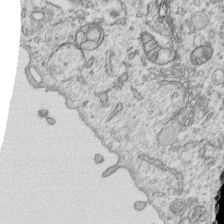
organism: Human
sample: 1205lu cells